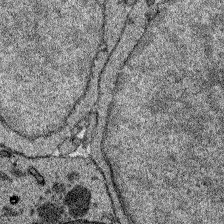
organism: Zebrafish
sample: Larval olfactory bulb